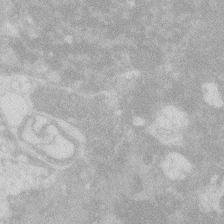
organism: Zebrafish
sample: Macrophage